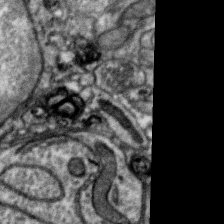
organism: Zebra finch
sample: Brain